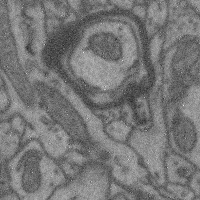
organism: Mouse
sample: Cerebral cortex